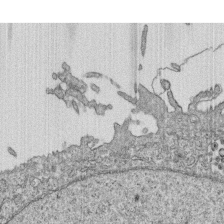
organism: Human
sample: HeLa cell HIV synapse